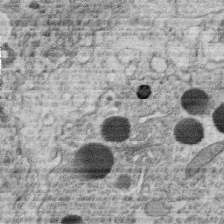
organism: C. elegans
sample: C. elegans oocyte; sperm cells